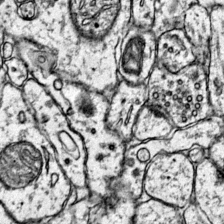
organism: Mouse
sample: Primary visual cortex